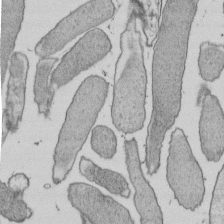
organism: E. coli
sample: Bacterial nucleoid